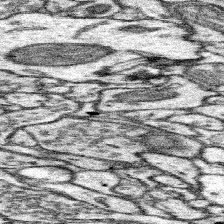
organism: Mouse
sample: Somatosensory cortex neuropil